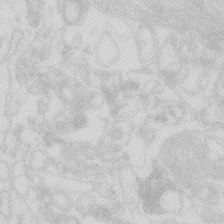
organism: Zebrafish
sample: Macrophage